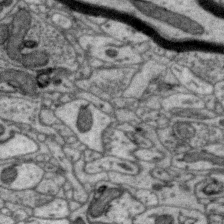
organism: Zebra finch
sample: Brain